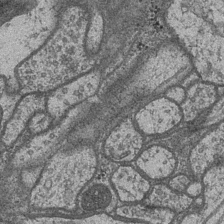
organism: Drosophila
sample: Optic medulla